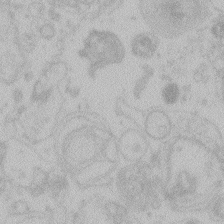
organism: Zebrafish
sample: Macrophage infected with Toxoplasma gondii